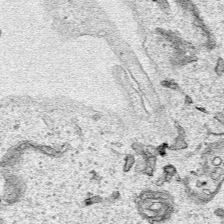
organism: Human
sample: Mitochondria in HCT116 cells